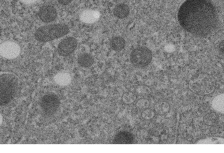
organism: C. elegans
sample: C. elegans embryo early stage